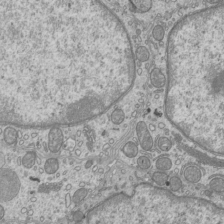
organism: Mouse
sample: Cilia; mouse epididymis